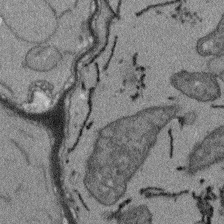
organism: Arabidopsis thaliana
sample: Root tip